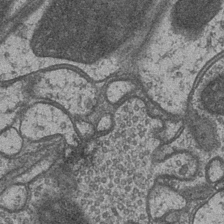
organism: Drosophila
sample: Optic medulla